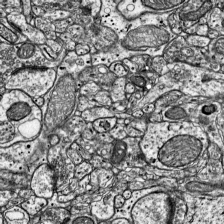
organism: Mouse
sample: Visual Cortex